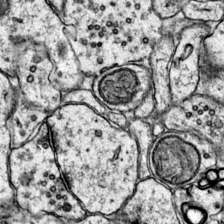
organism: Mouse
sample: Primary visual cortex